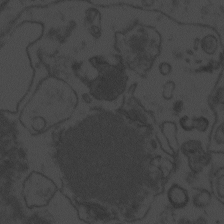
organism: Zebrafish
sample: Macrophage infected with Toxoplasma gondii